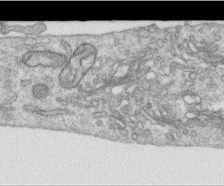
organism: Human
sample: Centriole in RPE cells